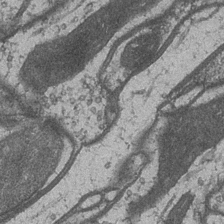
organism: Drosophila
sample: Optic medulla